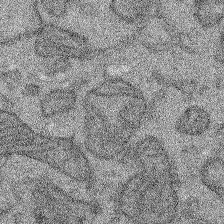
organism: Human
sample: HeLa cells